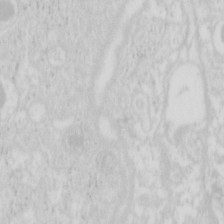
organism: Mouse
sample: Pancreas